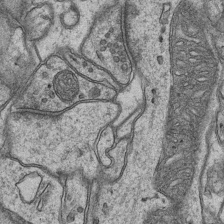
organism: Mouse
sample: CA1 Hippocampus